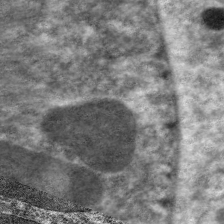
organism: C. elegans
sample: Pharynx